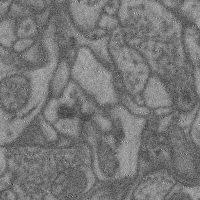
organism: Mouse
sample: Cerebral cortex